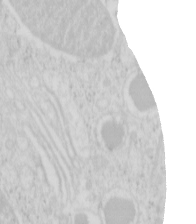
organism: Mouse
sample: Pancreas